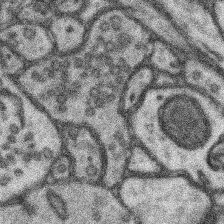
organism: Mouse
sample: Somatosensory cortex neuropil